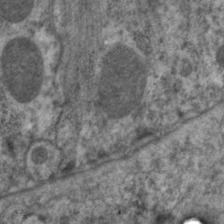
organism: C. elegans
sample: Pharynx